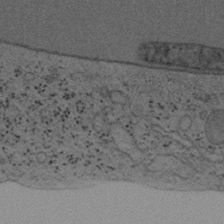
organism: Human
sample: HeLa cells